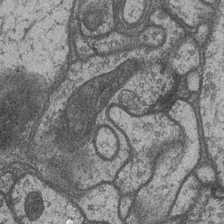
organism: Drosophila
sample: Optic medulla